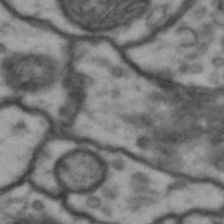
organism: Drosophila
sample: Brain